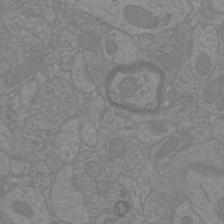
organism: Mouse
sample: Cortical neurons